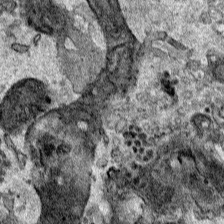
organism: Human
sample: Mitochondria in HCT116 cells